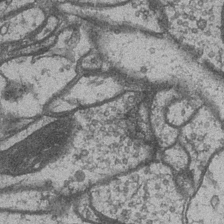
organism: Drosophila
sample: Optic medulla